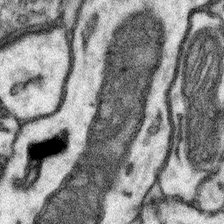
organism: Mouse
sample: Somatosensory cortex neuropil